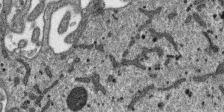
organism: Human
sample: Lung epithelial cells infected with SARS-CoV-2